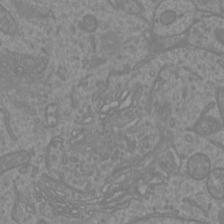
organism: Mouse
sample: Cortical neurons